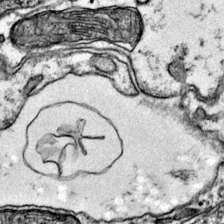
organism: Mouse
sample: Primary visual cortex